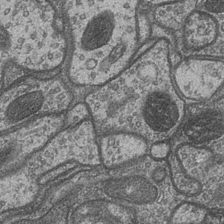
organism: Drosophila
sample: Optic medulla